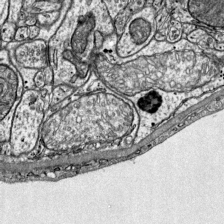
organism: Mouse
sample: Visual Cortex